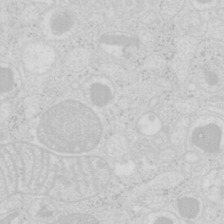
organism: Mouse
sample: Pancreas